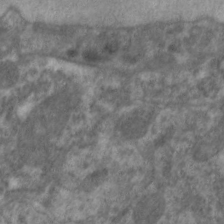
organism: C. elegans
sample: Pharynx